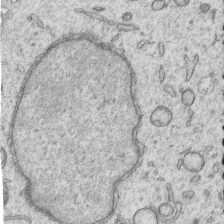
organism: Human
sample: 1205lu cells